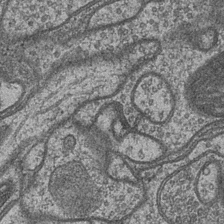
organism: Drosophila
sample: Optic medulla